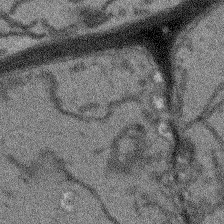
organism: Arabidopsis thaliana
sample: Root tip